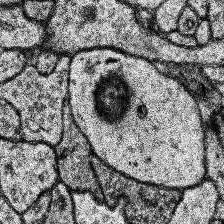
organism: Human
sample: Temporal Lobe